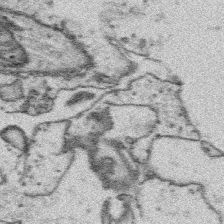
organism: Platynereis dumerilii